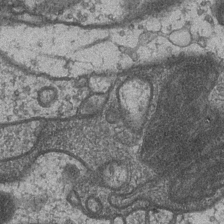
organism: Drosophila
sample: Optic medulla